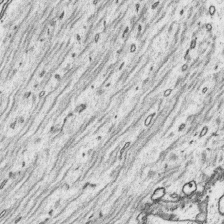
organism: Platynereis dumerilii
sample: Parapodia